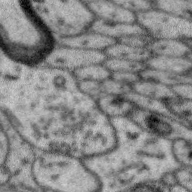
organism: Zebra finch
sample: Brain